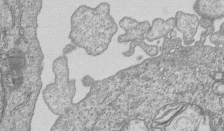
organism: Human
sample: MDA-MB-231 cells